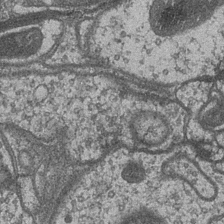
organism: Drosophila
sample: Optic medulla